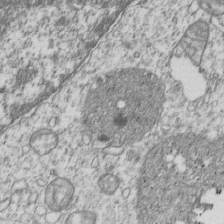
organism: Human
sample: MDA-MB-231 cells